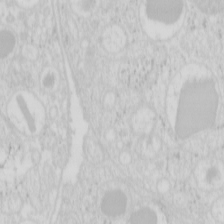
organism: Mouse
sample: Pancreas